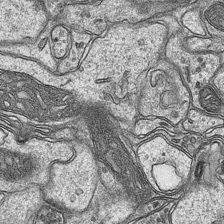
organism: Mouse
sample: CA1 Hippocampus